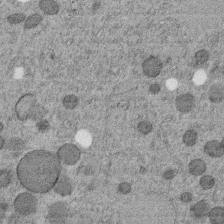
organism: C. elegans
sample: C. elegans embryo early stage